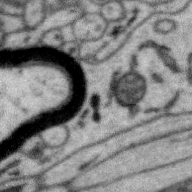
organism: Zebra finch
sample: Brain